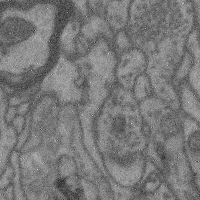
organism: Mouse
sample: Cerebral cortex